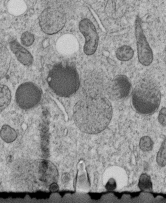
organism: C. elegans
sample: C. elegans embryo early stage